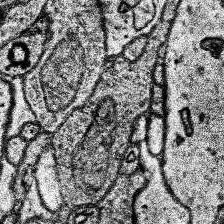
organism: Human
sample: Temporal Lobe